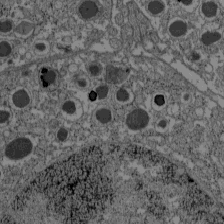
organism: C57BL Mouse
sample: Pancreatic islet